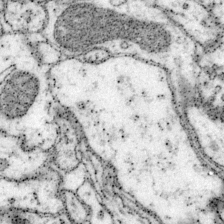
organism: Mouse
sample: Primary visual cortex